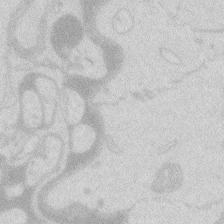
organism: Zebrafish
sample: Macrophage